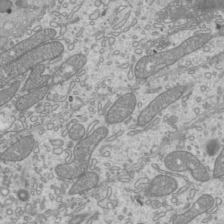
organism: Mouse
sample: Cilia; mouse epididymis